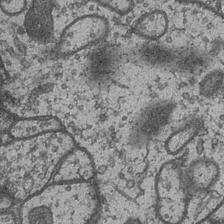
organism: Drosophila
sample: Optic medulla